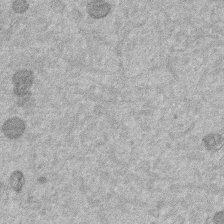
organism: Mouse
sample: Dividing mouse embryo 1 cell stage